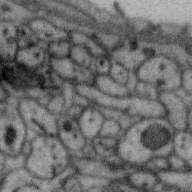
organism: Zebra finch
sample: Brain